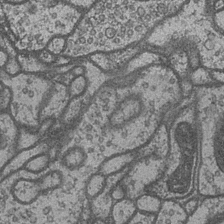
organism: Drosophila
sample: Optic medulla